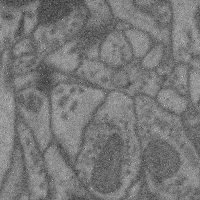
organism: Mouse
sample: Cerebral cortex